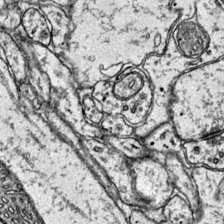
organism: Mouse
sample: Primary visual cortex